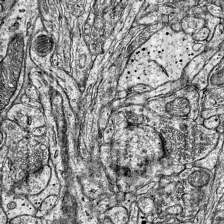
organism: Mouse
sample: Visual Cortex